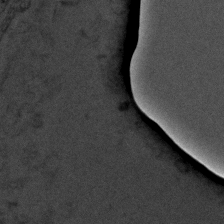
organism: C. elegans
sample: C. elegans embryo